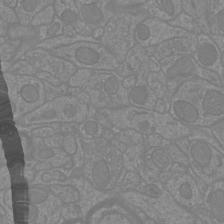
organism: Mouse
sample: Cortical neurons